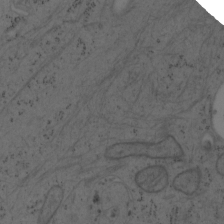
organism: Mouse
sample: OT-I killer T cells with ID8 ovarian cancer cells